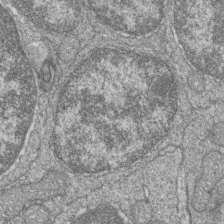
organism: Zebrafish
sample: Cilia; retinal pigment epithelium